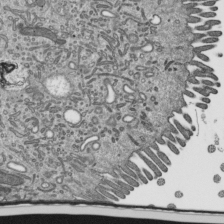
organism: Mouse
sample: Mouse epididymis efferent ductule cilia